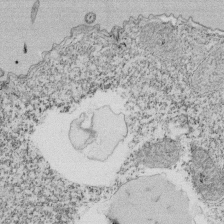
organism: Tetrahymena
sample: Cilia in tetrahymena